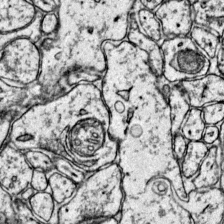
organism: Mouse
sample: Primary visual cortex